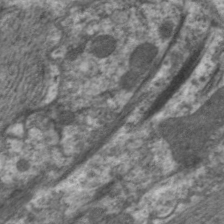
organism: C. elegans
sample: Pharynx